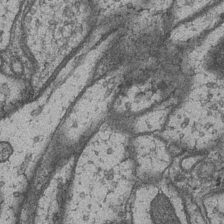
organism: Drosophila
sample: Optic medulla